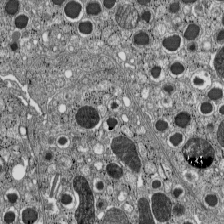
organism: C57BL Mouse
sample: Pancreatic islet